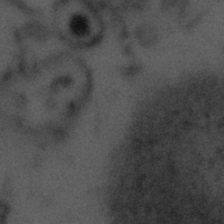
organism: Tuwongella immobilis